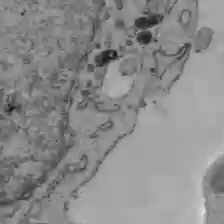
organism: C57BL Mouse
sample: Liver